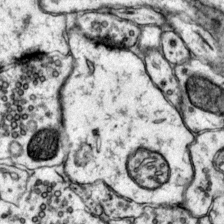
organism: Mouse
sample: Primary visual cortex